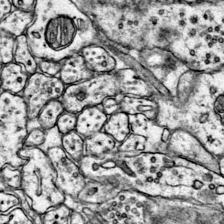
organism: Mouse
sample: Primary visual cortex